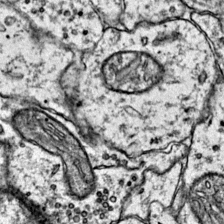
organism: Mouse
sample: Primary visual cortex